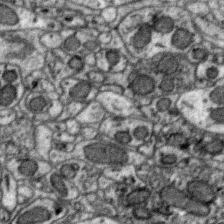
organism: Zebra finch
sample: Brain